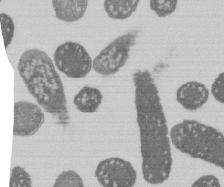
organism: E. coli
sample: Bacterial nucleoid